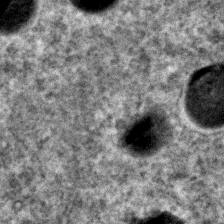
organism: C. elegans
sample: C. elegans embryo